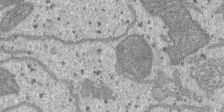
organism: Human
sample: Lung epithelial cells infected with SARS-CoV-2